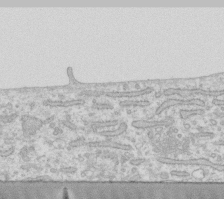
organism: Human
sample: Fibroblast cells